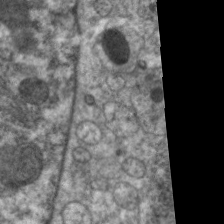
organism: C. elegans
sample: Pharynx